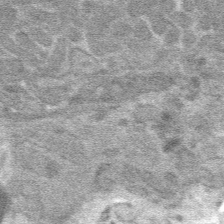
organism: Mouse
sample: Mouse hepatocytes